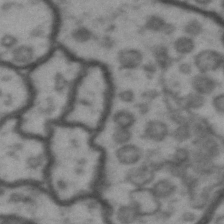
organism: Drosophila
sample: Brain